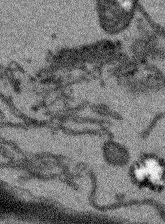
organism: Arabidopsis thaliana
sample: Root tip